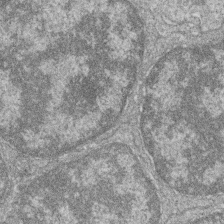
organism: Zebrafish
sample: Cilia; retinal pigment epithelium